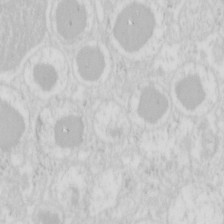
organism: Mouse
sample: Pancreas